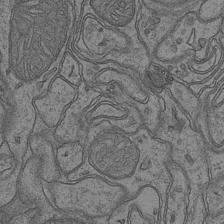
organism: Mouse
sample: CA1 Hippocampus